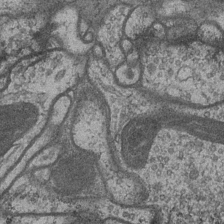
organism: Drosophila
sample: Optic medulla